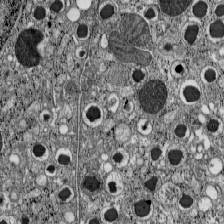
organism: C57BL Mouse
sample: Pancreatic islet